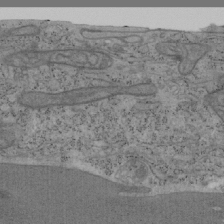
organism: Human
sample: HeLa cells